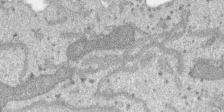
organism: Human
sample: Lung epithelial cells infected with SARS-CoV-2